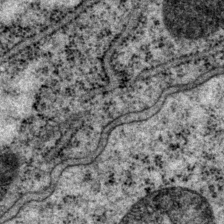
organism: P. pacificus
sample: Pharynx